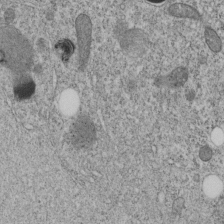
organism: C. elegans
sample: C. elegans embryo early stage